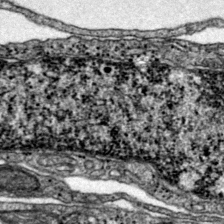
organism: Mouse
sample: Primary visual cortex